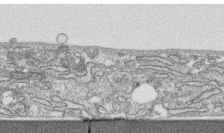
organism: Human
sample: CRL-1474